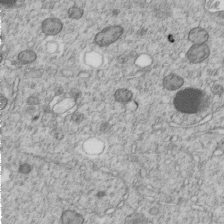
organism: C. elegans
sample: C. elegans embryo early stage